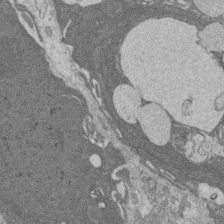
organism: Rat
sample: Salivary granule